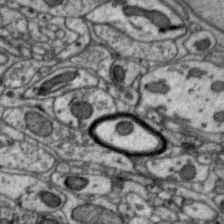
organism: Zebra finch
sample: Brain